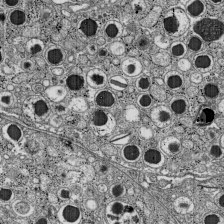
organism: C57BL Mouse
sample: Pancreatic islet